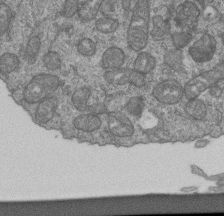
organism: Human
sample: Retinal organoid Rod and Cone cells